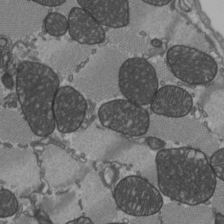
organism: C57BL Mouse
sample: Heart